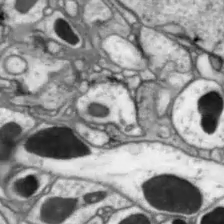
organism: Drosophila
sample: Optic lobe